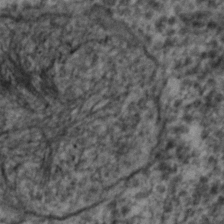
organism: C. elegans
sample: C. elegans embryo